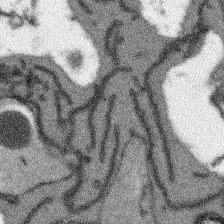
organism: Arabidopsis thaliana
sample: Root tip